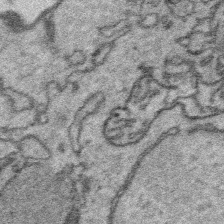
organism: Platynereis dumerilii